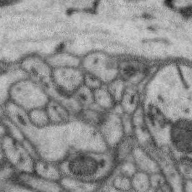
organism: Zebra finch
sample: Brain